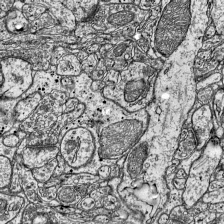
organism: Mouse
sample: Visual Cortex